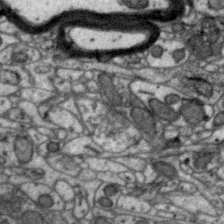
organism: Zebra finch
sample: Brain